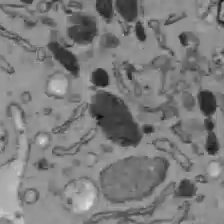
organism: C57BL Mouse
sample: Liver